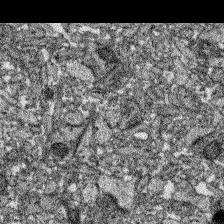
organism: Zebrafish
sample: Larval olfactory bulb